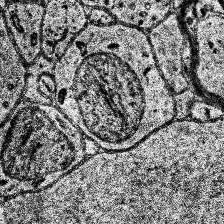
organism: Human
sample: Temporal Lobe